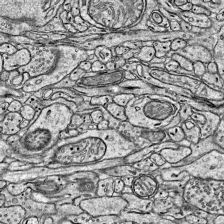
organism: Mouse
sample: Visual Cortex